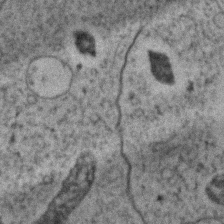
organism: Zebrafish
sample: Zebrafish embryo